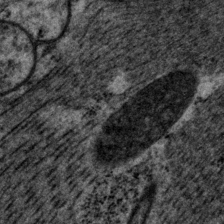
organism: P. pacificus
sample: Pharynx